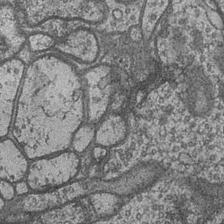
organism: Drosophila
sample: Optic medulla